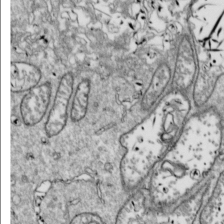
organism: Drosophila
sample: Cell division; meiosis; drosophila spermatocytes